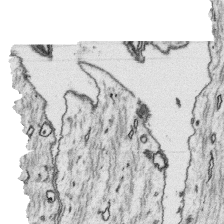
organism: Platynereis dumerilii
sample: Parapodia